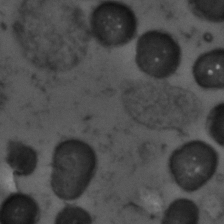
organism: Zebrafish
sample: Zebrafish embryo